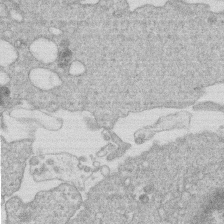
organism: Human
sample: Macrophage cells